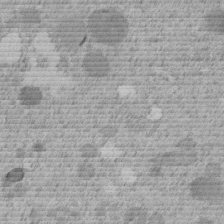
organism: C. elegans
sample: C. elegans embryo early stage